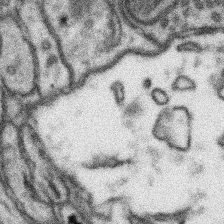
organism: Mouse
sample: Somatosensory cortex neuropil